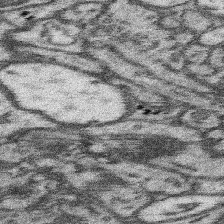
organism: Mouse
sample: Somatosensory cortex neuropil